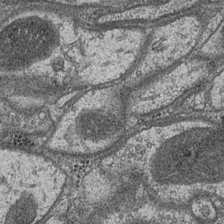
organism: Drosophila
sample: Optic medulla